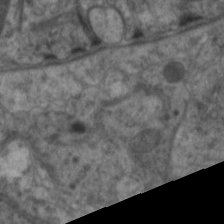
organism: C. elegans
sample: Pharynx